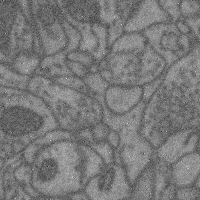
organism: Mouse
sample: Cerebral cortex